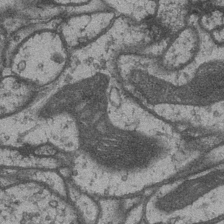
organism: Drosophila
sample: Optic medulla